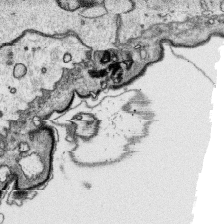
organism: Platynereis dumerilii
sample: Parapodia